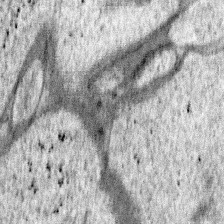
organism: Human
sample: HeLa cells